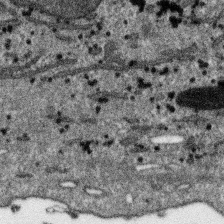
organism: Human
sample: Lung epithelial cells infected with SARS-CoV-2